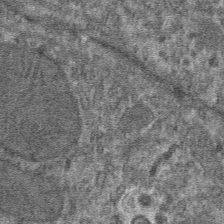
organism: Mouse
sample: Mouse hepatocytes